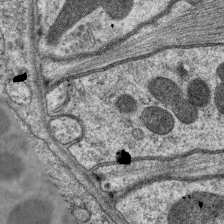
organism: C. elegans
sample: Pharynx